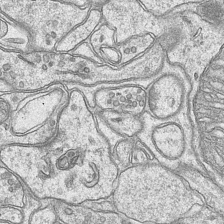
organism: Mouse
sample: CA1 Hippocampus